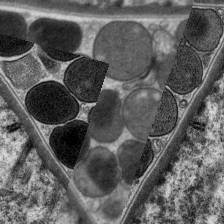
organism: C. elegans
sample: Pharynx